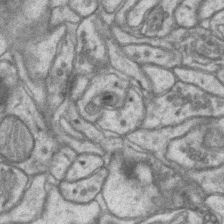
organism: Mouse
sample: CA1 Hippocampus